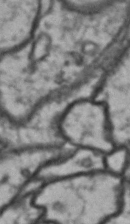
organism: Drosophila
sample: Brain